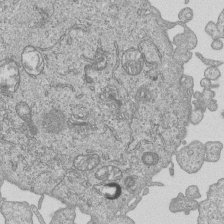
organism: Human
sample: MDA-MB-231 cells